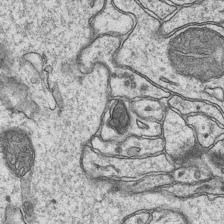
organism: Mouse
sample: CA1 Hippocampus